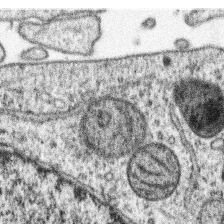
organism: Human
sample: HeLa cells